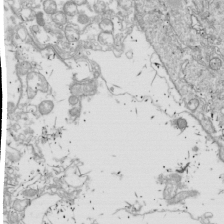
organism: Drosophila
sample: Cell division; meiosis; drosophila spermatocytes